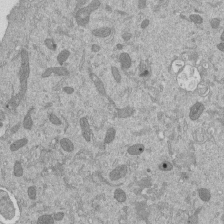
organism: Mouse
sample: ED-1 cell nuclei; centrioles